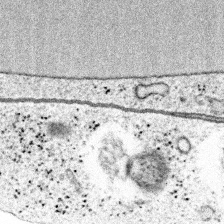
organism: Human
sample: HeLa cells